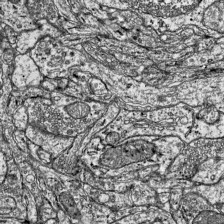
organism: Mouse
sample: Visual Cortex